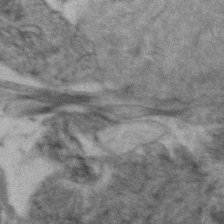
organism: Zebrafish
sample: Zebrafish embryo